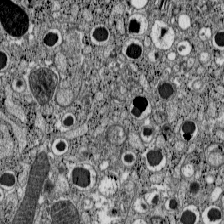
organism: C57BL Mouse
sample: Pancreatic islet